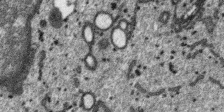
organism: Human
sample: Lung epithelial cells infected with SARS-CoV-2